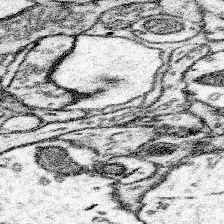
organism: Mouse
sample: Somatosensory cortex neuropil